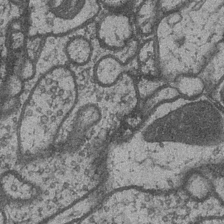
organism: Drosophila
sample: Optic medulla